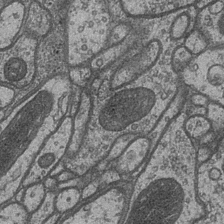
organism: Drosophila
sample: Optic medulla